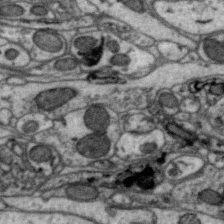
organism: Zebra finch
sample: Brain